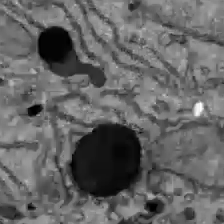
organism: C57BL Mouse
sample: Liver